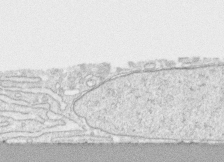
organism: Human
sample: CRL-1474